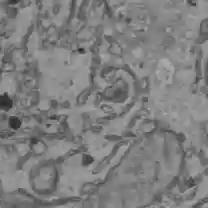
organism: C57BL Mouse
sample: Liver